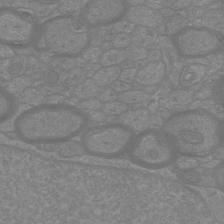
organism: Mouse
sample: Cortical neurons